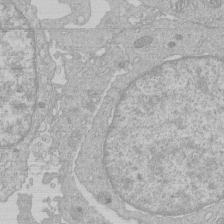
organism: Human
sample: Macrophage cells